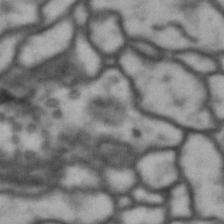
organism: Drosophila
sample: Brain